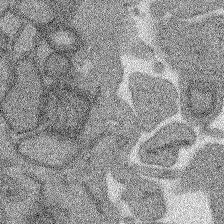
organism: Human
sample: HeLa cells